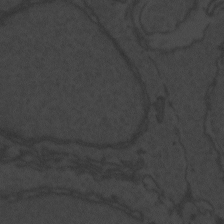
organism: Zebrafish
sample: Macrophage infected with Toxoplasma gondii